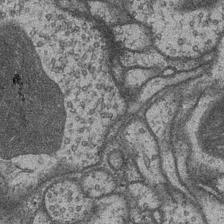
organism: Drosophila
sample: Optic medulla